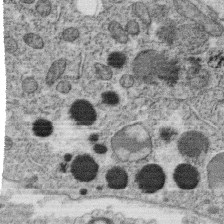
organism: C. elegans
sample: C. elegans oocyte; sperm cells